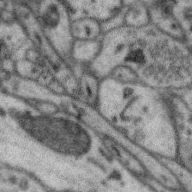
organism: Zebra finch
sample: Brain